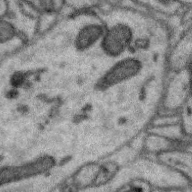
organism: Zebra finch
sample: Brain